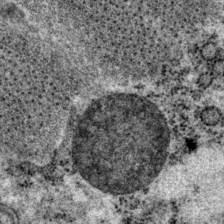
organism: P. pacificus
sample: Pharynx